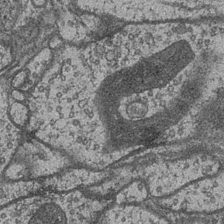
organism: Drosophila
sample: Optic medulla